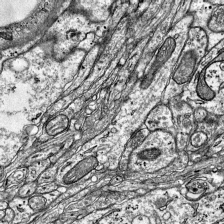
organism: Mouse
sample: Visual Cortex